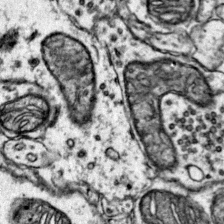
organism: Mouse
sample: Primary visual cortex